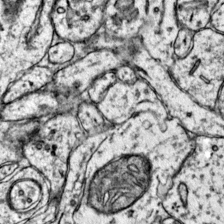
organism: Mouse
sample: Primary visual cortex